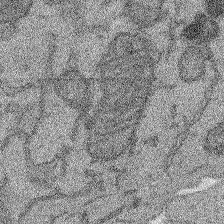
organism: Human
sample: HeLa cells